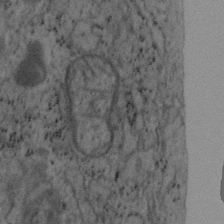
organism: Human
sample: HeLa cells